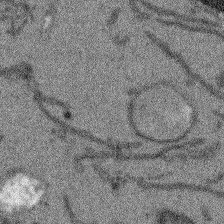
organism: Arabidopsis thaliana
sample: Root tip